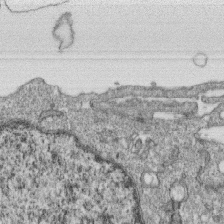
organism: African green monkey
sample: Vero E6 cells infected with SARS-CoV-2